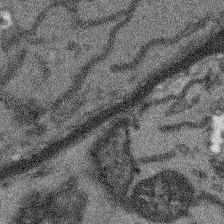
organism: Arabidopsis thaliana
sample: Root tip